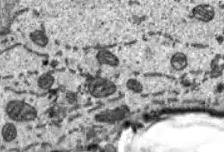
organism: Human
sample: HeLa cells